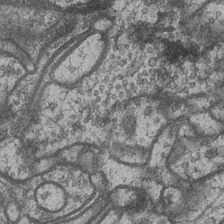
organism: Drosophila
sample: Optic medulla